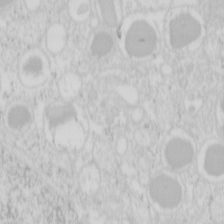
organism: Mouse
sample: Pancreas